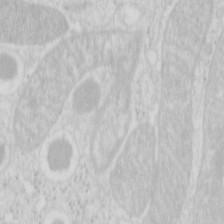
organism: Mouse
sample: Pancreas